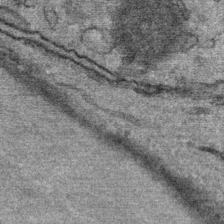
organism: Mouse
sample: Mouse Salivary gland